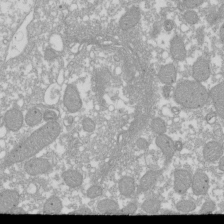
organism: Xenopus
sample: Cilia; centrioles in frog embryo cells